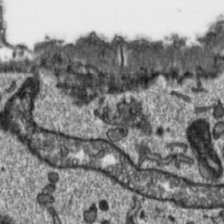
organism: Toxoplasma gondii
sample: Parasites in a vacuole inside a host cell